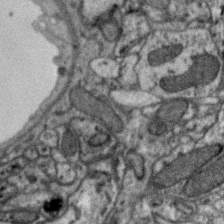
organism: Zebra finch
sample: Brain